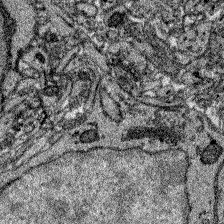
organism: Zebrafish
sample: Larval olfactory bulb